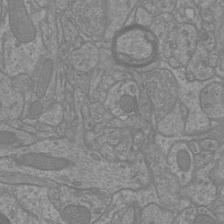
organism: Mouse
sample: Cortical neurons